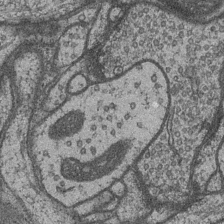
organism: Drosophila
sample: Optic medulla